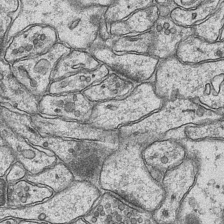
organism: Mouse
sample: CA1 Hippocampus